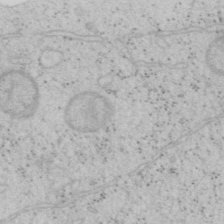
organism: Human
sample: HeLa cells